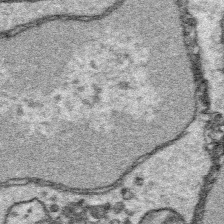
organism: Platynereis dumerilii